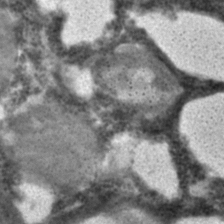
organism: C. elegans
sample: C. elegans embryo